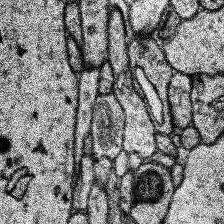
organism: Human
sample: Temporal Lobe